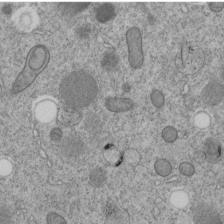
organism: C. elegans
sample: C. elegans embryo early stage